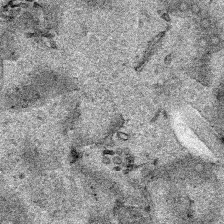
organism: Human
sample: Mitochondria in HCT116 cells